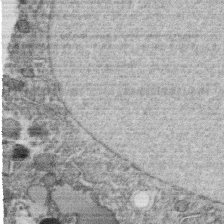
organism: C. elegans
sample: C. elegans oocyte; sperm cells